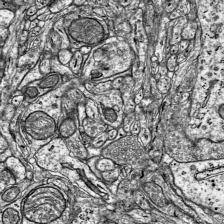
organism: Mouse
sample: Visual Cortex